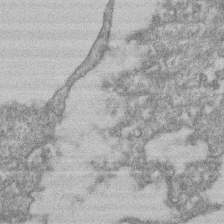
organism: Mouse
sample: T cell stromal cell synapse